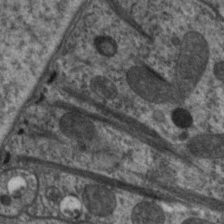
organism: C. elegans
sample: Pharynx